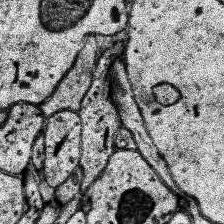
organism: Human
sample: Temporal Lobe